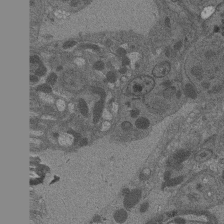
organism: Drosophila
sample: Antenna